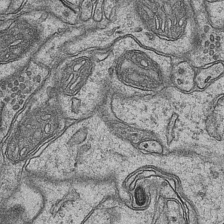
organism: Mouse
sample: CA1 Hippocampus